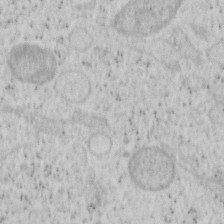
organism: Human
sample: HeLa cells